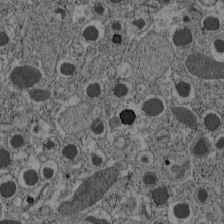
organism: C57BL Mouse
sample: Pancreatic islet